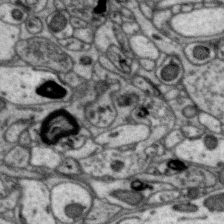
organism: Zebra finch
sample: Brain